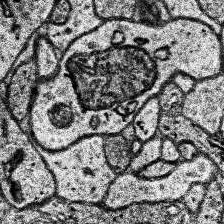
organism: Human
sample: Temporal Lobe